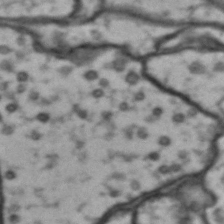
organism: Drosophila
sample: Brain